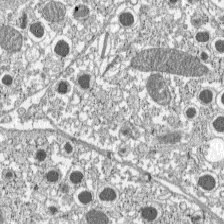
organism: C57BL Mouse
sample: Pancreatic islet